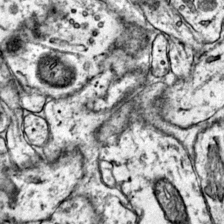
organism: Mouse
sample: Primary visual cortex